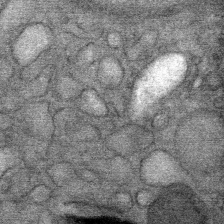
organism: Mouse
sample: Mouse Salivary gland